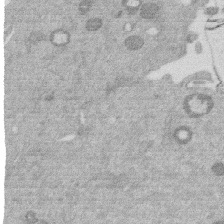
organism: Mouse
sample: Dividing mouse embryo 1 cell stage